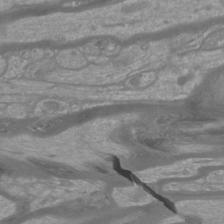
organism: Mouse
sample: Cortical neurons